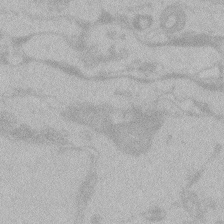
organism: Zebrafish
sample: Macrophage infected with Toxoplasma gondii